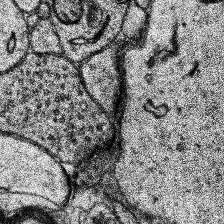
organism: Human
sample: Temporal Lobe